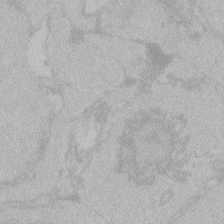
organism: Zebrafish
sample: Macrophage infected with Toxoplasma gondii